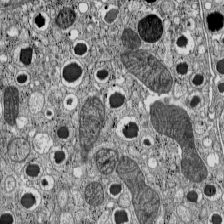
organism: C57BL Mouse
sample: Pancreatic islet